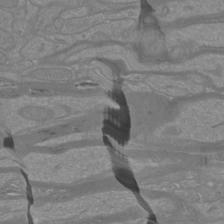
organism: Mouse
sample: Cortical neurons